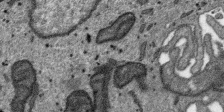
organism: Human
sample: Lung epithelial cells, uninfected (mock) control